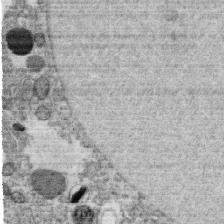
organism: C. elegans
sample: C. elegans oocyte; sperm cells